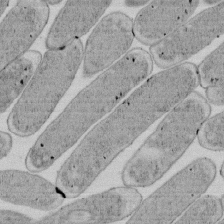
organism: E. coli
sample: Bacterial nucleoid